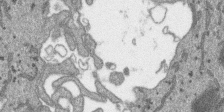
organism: Human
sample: Lung epithelial cells infected with SARS-CoV-2